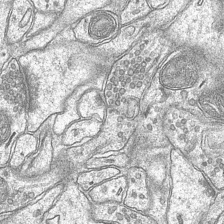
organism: Mouse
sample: CA1 Hippocampus